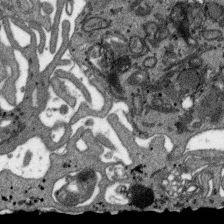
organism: Human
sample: Lung epithelial cells, uninfected (mock) control